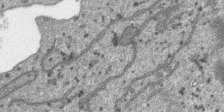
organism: Human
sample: Lung epithelial cells infected with SARS-CoV-2